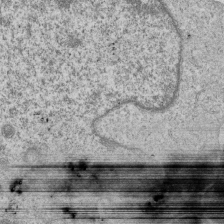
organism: Human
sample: MDA-MB-231 cells